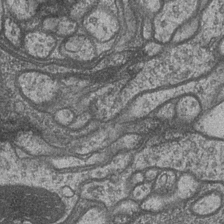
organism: Drosophila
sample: Optic medulla